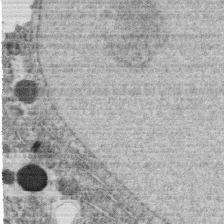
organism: C. elegans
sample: C. elegans oocyte; sperm cells